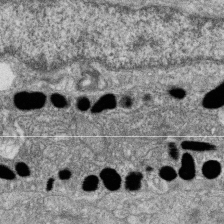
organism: Zebrafish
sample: Cilia; retinal pigment epithelium